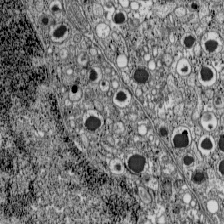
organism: C57BL Mouse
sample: Pancreatic islet